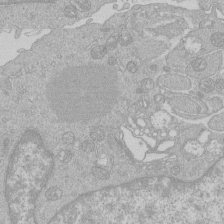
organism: Human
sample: Macrophage cells